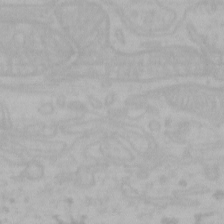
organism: Mouse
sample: Choroid plexus